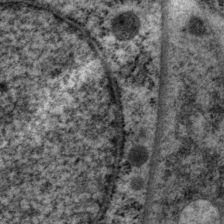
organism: P. pacificus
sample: Pharynx